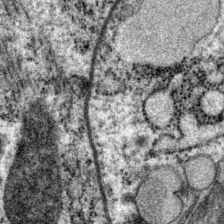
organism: P. pacificus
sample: Pharynx